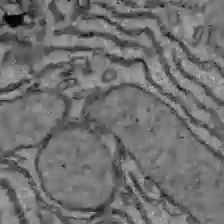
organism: C57BL Mouse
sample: Liver